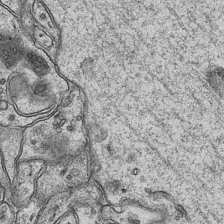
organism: Mouse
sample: CA1 Hippocampus